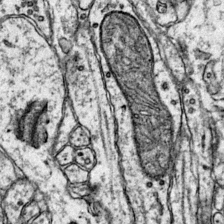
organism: Mouse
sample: Primary visual cortex